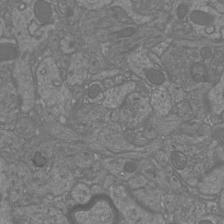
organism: Mouse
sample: Cortical neurons